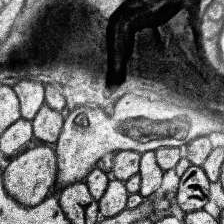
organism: Human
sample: Temporal Lobe